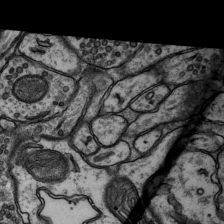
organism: Rat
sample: Hippocampus